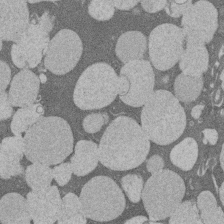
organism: Rat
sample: Salivary granule